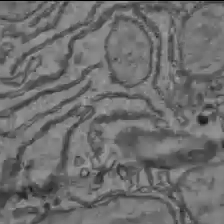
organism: C57BL Mouse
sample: Liver